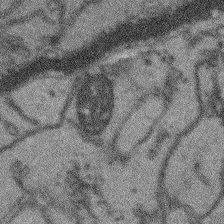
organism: Arabidopsis thaliana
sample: Root tip